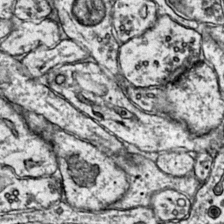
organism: Mouse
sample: Primary visual cortex